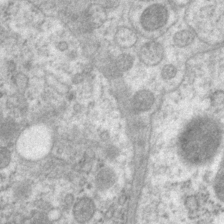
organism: P. pacificus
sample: Pharynx